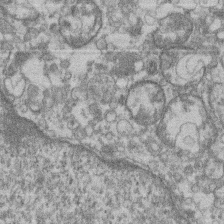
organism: Mouse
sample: T cell stromal cell synapse